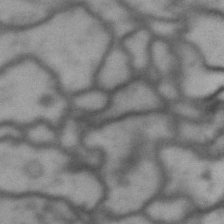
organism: Drosophila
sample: Brain